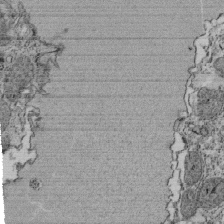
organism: Tetrahymena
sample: Cilia in tetrahymena